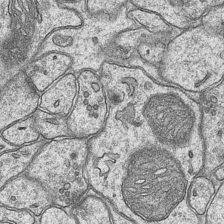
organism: Mouse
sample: CA1 Hippocampus